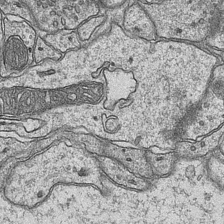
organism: Mouse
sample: CA1 Hippocampus